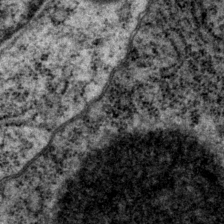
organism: P. pacificus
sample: Pharynx